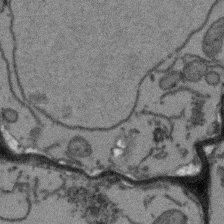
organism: Arabidopsis thaliana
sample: Root tip